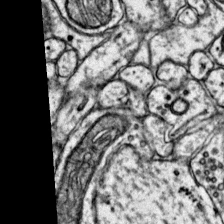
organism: Mouse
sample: Primary visual cortex